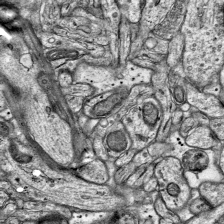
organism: Mouse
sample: Visual Cortex